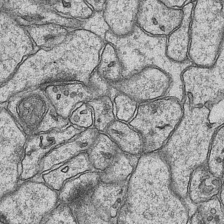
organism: Mouse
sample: CA1 Hippocampus